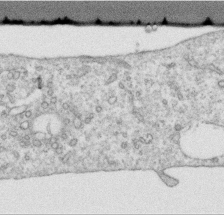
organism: Human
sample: Centriole in RPE cells